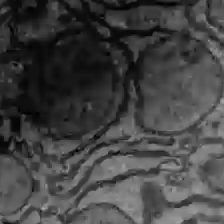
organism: C57BL Mouse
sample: Liver